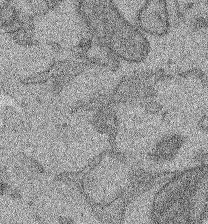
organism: Human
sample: HeLa cells